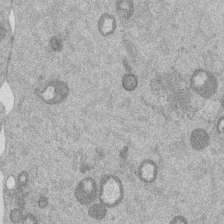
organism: Mouse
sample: Dividing mouse embryo 1 cell stage